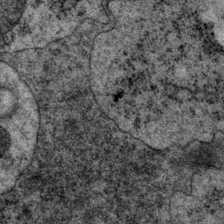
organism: P. pacificus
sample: Pharynx